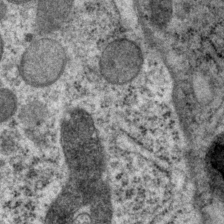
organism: P. pacificus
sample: Pharynx